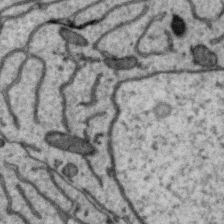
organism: Zebra finch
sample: Brain